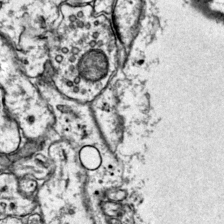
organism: Mouse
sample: Primary visual cortex